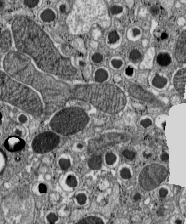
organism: C57BL Mouse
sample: Pancreatic islet